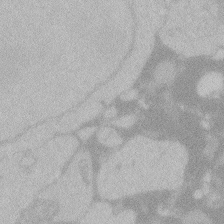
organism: Zebrafish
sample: Macrophage infected with Toxoplasma gondii